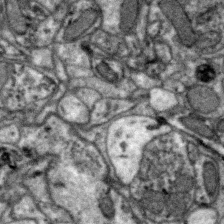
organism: Zebra finch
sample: Brain